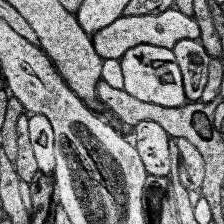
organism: Human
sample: Temporal Lobe